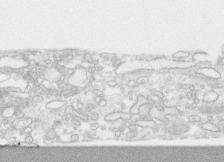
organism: Human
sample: CRL-1474